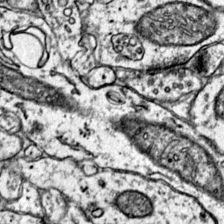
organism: Mouse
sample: Primary visual cortex